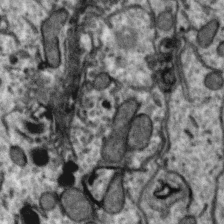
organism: Zebra finch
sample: Brain